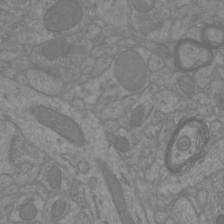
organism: Mouse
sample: Cortical neurons